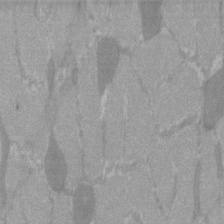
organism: C57BL Mouse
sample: Tibialis anterior muscle cell